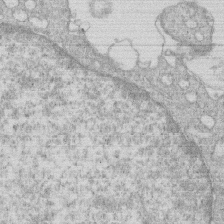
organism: Human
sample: Macrophage cells